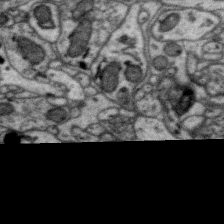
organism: Zebra finch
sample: Brain